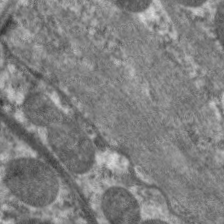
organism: C. elegans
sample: Pharynx